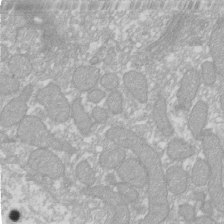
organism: Xenopus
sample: Cilia; centrioles in frog embryo cells